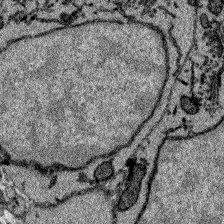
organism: Zebrafish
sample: Larval olfactory bulb